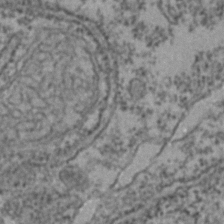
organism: Zebrafish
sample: Zebrafish embryo